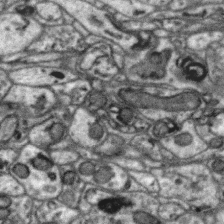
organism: Zebra finch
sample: Brain